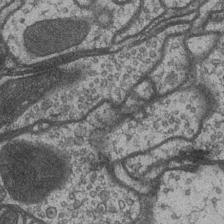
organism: Drosophila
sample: Optic medulla